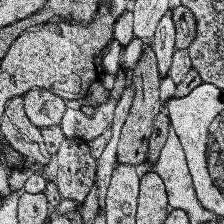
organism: Human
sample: Temporal Lobe